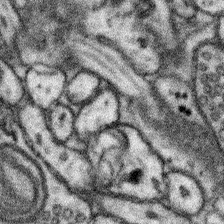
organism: Mouse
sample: Somatosensory cortex neuropil